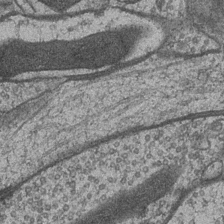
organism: Drosophila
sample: Optic medulla